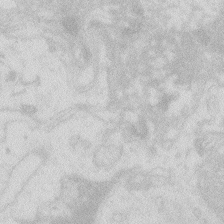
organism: Zebrafish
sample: Macrophage